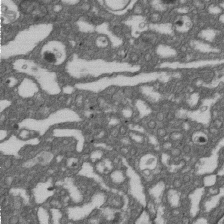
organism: Drosophila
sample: Nephrocyte